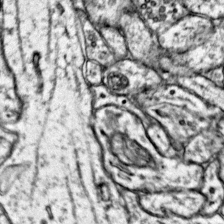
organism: Mouse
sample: Primary visual cortex